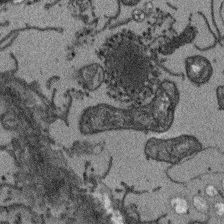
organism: Arabidopsis thaliana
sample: Root tip